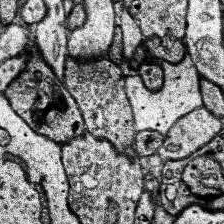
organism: Human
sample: Temporal Lobe